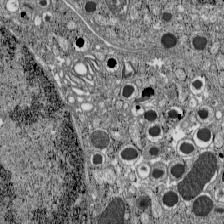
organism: C57BL Mouse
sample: Pancreatic islet